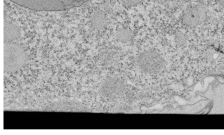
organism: Tetrahymena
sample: Cilia in tetrahymena